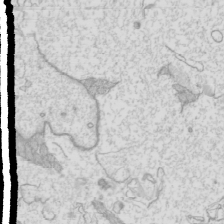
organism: Mouse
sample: Cilia; mouse epididymis